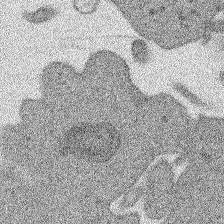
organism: Human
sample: HeLa cells